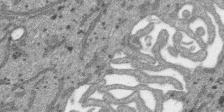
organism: Human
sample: Lung epithelial cells infected with SARS-CoV-2